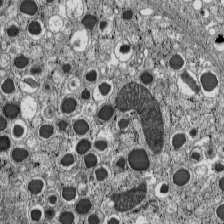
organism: C57BL Mouse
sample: Pancreatic islet